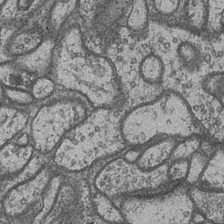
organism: Drosophila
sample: Optic medulla